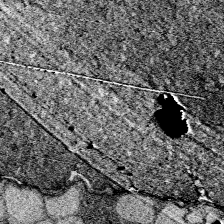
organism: Zebrafish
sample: Whole-Brain